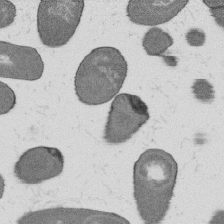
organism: B. subtilis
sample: Bacterial spore